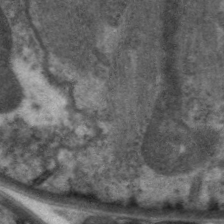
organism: C. elegans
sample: Pharynx